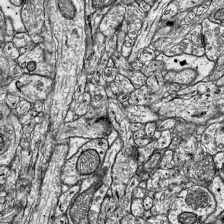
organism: Mouse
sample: Visual Cortex